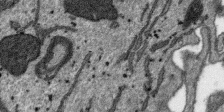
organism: Human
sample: Lung epithelial cells, uninfected (mock) control